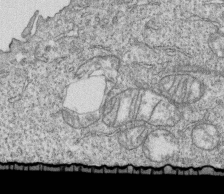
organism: Human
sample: HeLa cell HIV synapse